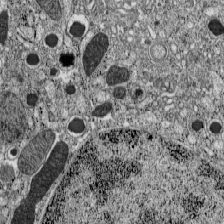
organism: C57BL Mouse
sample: Pancreatic islet